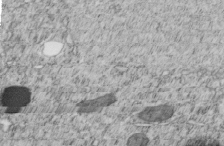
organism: C. elegans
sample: C. elegans embryo early stage